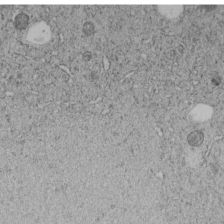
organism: C. elegans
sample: C. elegans embryo early stage